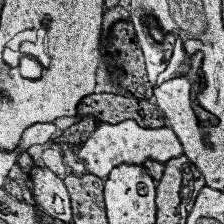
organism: Human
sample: Temporal Lobe